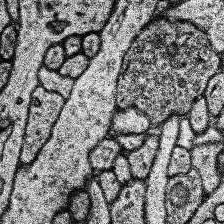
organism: Human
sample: Temporal Lobe